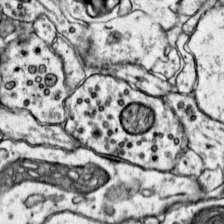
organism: Mouse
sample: Primary visual cortex